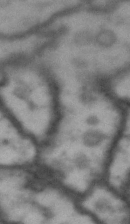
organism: Drosophila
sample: Brain